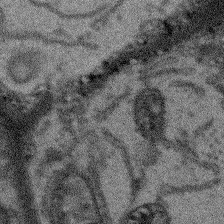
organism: Arabidopsis thaliana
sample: Root tip